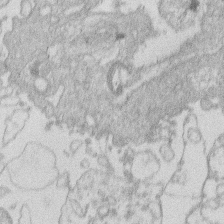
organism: Human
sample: Macrophage cells